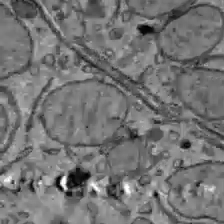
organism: C57BL Mouse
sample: Liver